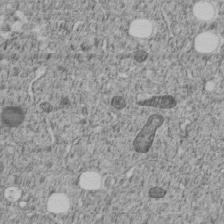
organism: C. elegans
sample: C. elegans embryo early stage